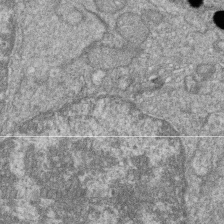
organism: Zebrafish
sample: Cilia; retinal pigment epithelium